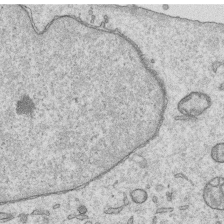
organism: Human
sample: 1205lu cells